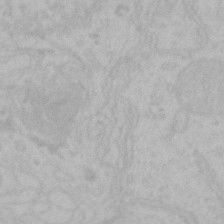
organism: Mouse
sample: Choroid plexus